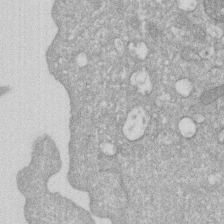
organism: Human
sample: HIV infected U937 cells